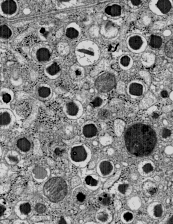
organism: C57BL Mouse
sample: Pancreatic islet